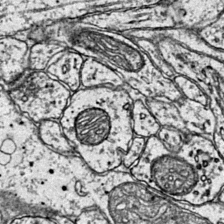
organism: Mouse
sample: Primary visual cortex